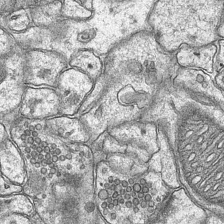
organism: Mouse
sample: CA1 Hippocampus